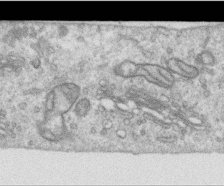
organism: Human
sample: Centriole in RPE cells